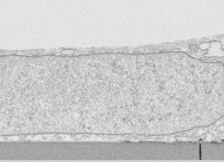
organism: Human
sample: CRL-1474